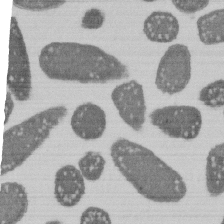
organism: E. coli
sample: Bacterial nucleoid